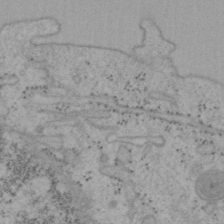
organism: Human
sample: HeLa cells